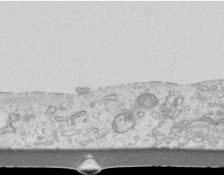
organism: Mouse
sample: Centriole in ependymal cells